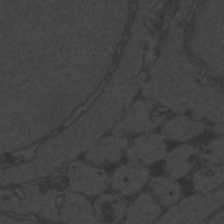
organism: Zebrafish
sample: Macrophage infected with Toxoplasma gondii